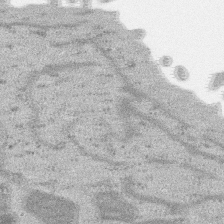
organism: Human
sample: Lung epithelial cells infected with SARS-CoV-2